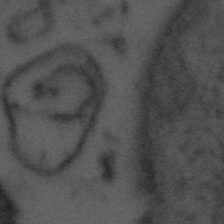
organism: Tuwongella immobilis